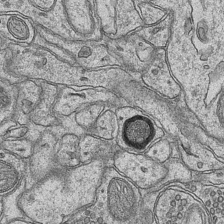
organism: Mouse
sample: CA1 Hippocampus